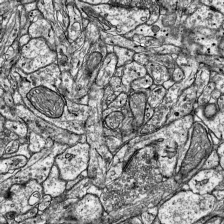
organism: Mouse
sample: Visual Cortex